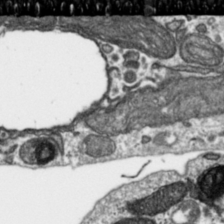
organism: Toxoplasma gondii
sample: Parasites in a vacuole inside a host cell